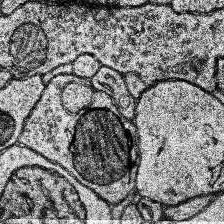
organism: Human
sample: Temporal Lobe